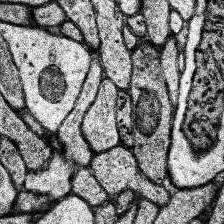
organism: Human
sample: Temporal Lobe